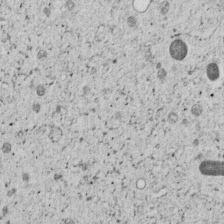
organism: C. elegans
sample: C. elegans embryo early stage